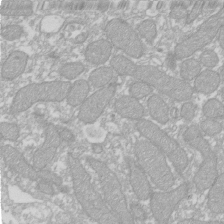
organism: Xenopus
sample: Cilia; centrioles in frog embryo cells